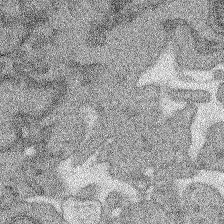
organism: Human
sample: HeLa cells